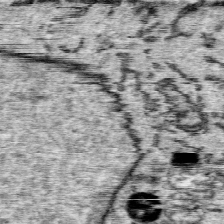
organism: Human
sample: HeLa cells